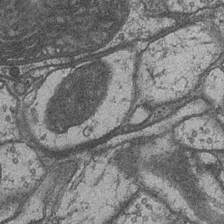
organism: Drosophila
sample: Optic medulla